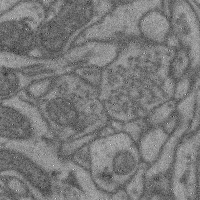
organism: Mouse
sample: Cerebral cortex